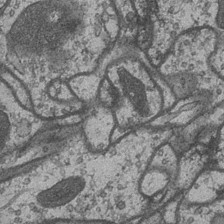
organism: Drosophila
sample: Optic medulla